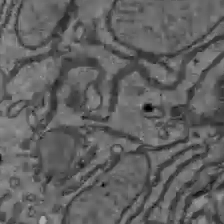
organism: C57BL Mouse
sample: Liver